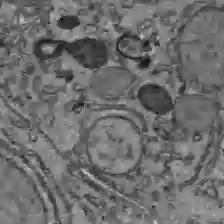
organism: C57BL Mouse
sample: Liver